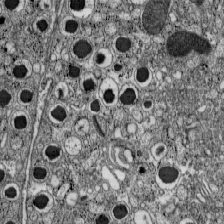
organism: C57BL Mouse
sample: Pancreatic islet